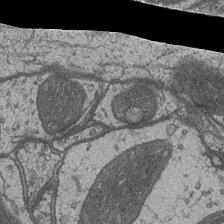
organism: Drosophila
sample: Optic medulla